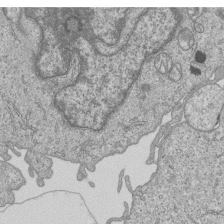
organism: Human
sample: MDA-MB-231 cells